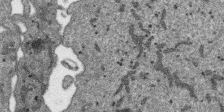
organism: Human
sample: Lung epithelial cells infected with SARS-CoV-2